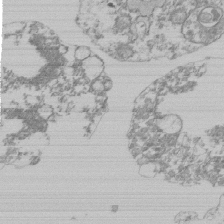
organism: Mouse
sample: Activated Pmel transgenic CD8+ T Cells